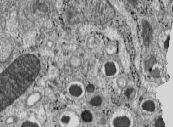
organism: C57BL Mouse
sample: Pancreatic islet